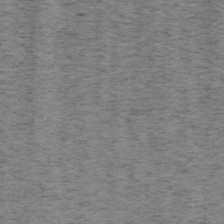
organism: Mouse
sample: OT-I killer T cells with ID8 ovarian cancer cells